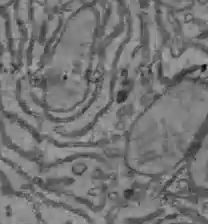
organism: C57BL Mouse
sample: Liver